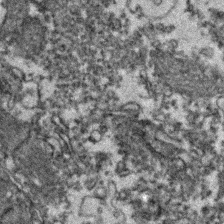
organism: Zebrafish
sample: Zebrafish embryo